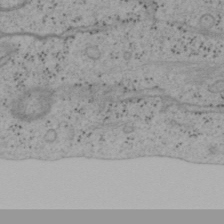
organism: Human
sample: HeLa cells